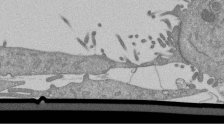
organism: Mouse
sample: ED-1 cell nuclei; centrioles